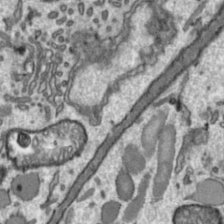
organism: Toxoplasma gondii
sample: Parasites in a vacuole inside a host cell